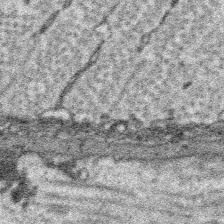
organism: Platynereis dumerilii